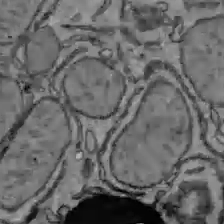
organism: C57BL Mouse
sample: Liver